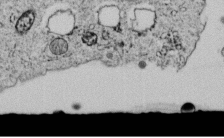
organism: C. elegans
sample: C. elegans embryo early stage